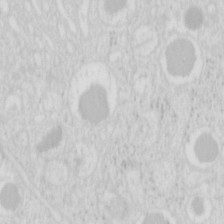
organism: Mouse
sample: Pancreas